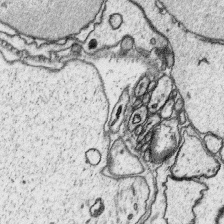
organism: Platynereis dumerilii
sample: Parapodia